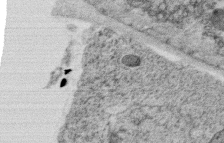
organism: C. elegans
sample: C. elegans oocyte; sperm cells